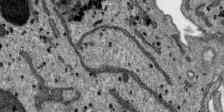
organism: Human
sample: Lung epithelial cells, uninfected (mock) control